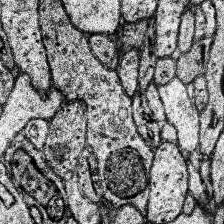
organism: Human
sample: Temporal Lobe